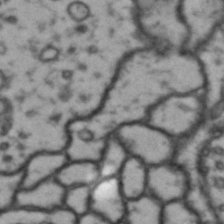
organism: Drosophila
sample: Brain